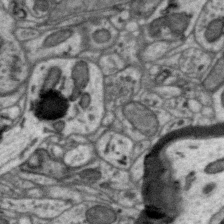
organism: Zebra finch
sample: Brain